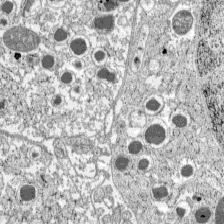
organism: C57BL Mouse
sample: Pancreatic islet